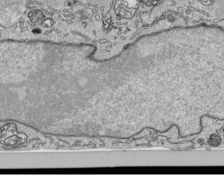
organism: Human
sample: Mitochondria in HCT116 cells